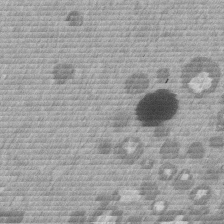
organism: Mouse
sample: Dividing mouse embryo 1 cell stage